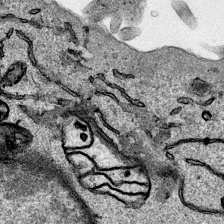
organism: Human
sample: Mitochondria in HCT116 cells